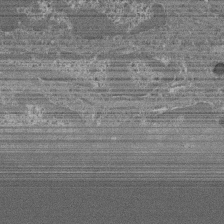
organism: Mouse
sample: Glomerulus